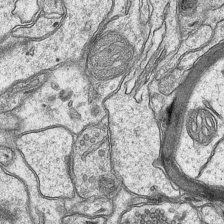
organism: Mouse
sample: CA1 Hippocampus